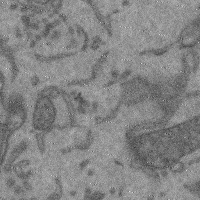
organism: Mouse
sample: Cerebral cortex